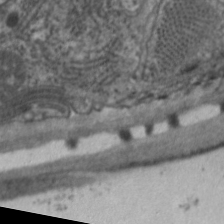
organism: C. elegans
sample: Pharynx